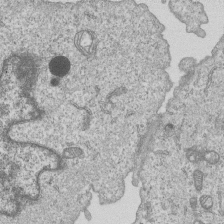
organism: Human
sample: MDA-MB-231 cells